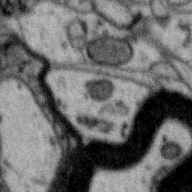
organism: Zebra finch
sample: Brain